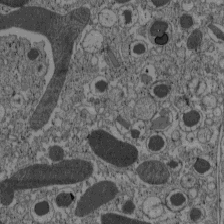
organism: C57BL Mouse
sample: Pancreatic islet